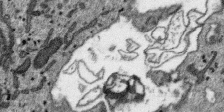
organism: Human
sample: Lung epithelial cells, uninfected (mock) control